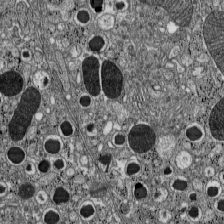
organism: C57BL Mouse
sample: Pancreatic islet